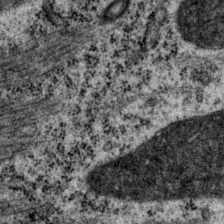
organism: P. pacificus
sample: Pharynx